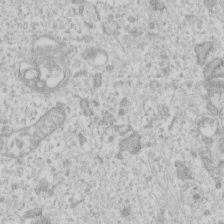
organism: Human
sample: Fibroblast cells